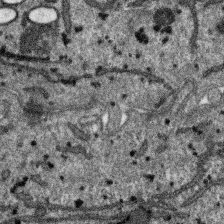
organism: Human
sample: Lung epithelial cells infected with SARS-CoV-2